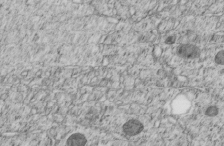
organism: C. elegans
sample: C. elegans embryo early stage